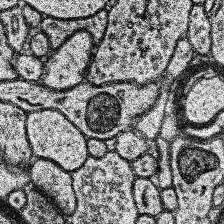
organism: Human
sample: Temporal Lobe